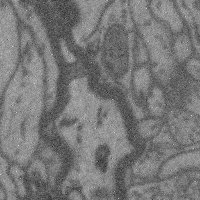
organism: Mouse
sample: Cerebral cortex